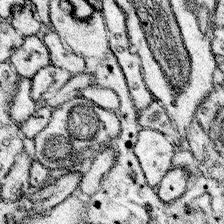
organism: Mouse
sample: Somatosensory cortex neuropil